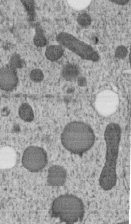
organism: C. elegans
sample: C. elegans embryo early stage